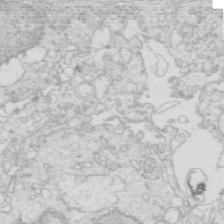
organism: Mouse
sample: Multiciliated cells